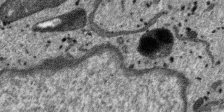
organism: Human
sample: Lung epithelial cells, uninfected (mock) control